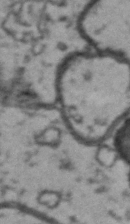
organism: Drosophila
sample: Brain